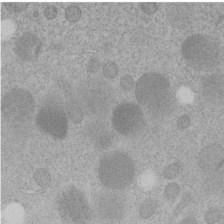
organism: C. elegans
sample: C. elegans embryo early stage